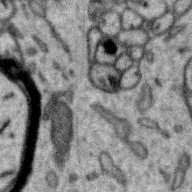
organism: Zebra finch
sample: Brain